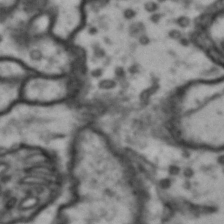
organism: Drosophila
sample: Brain